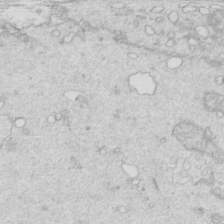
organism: Mouse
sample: Multiciliated cells